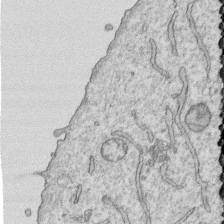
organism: Human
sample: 1205lu cells